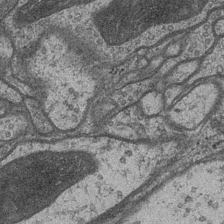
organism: Drosophila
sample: Optic medulla